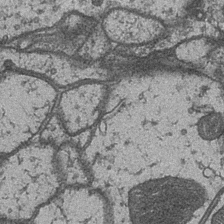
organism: Drosophila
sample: Optic medulla